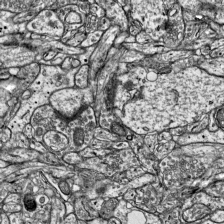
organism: Mouse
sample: Visual Cortex